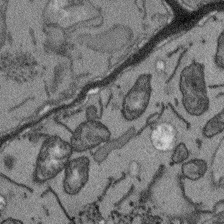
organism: Arabidopsis thaliana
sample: Root tip